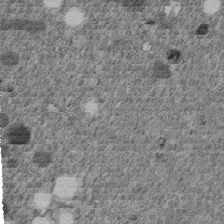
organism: C. elegans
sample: C. elegans embryo early stage